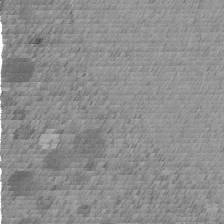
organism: C. elegans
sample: C. elegans embryo early stage